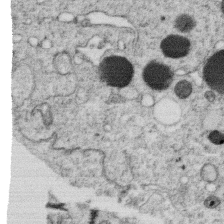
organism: C. elegans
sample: C. elegans oocyte; sperm cells